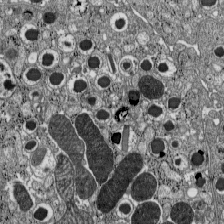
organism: C57BL Mouse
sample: Pancreatic islet